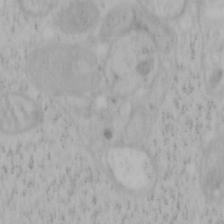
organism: Mouse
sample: OT-I killer T cells with ID8 ovarian cancer cells